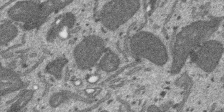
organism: Human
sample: Lung epithelial cells infected with SARS-CoV-2